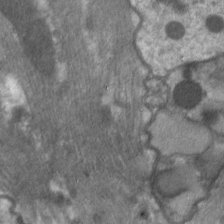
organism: C. elegans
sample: Pharynx